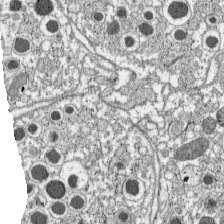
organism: C57BL Mouse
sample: Pancreatic islet